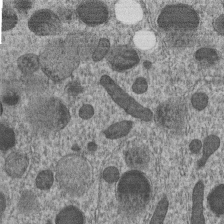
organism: C. elegans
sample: C. elegans embryo early stage